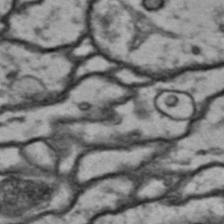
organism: Drosophila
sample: Brain